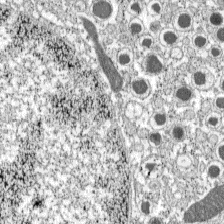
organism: C57BL Mouse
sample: Pancreatic islet